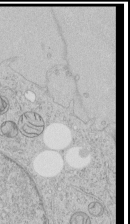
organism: Human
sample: Mitochondria in HCT116 cells